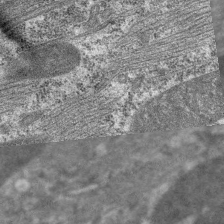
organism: C. elegans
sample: Pharynx